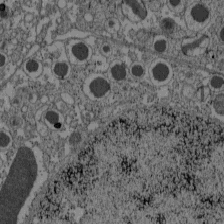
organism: C57BL Mouse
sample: Pancreatic islet